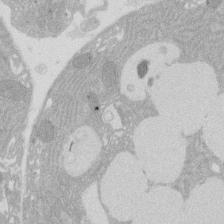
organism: Rat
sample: Salivary granule